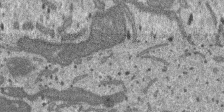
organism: Human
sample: Lung epithelial cells infected with SARS-CoV-2